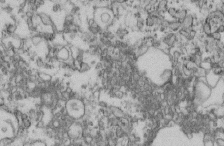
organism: Mouse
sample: Cilia; retinal pigment epithelium